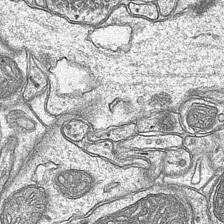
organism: Mouse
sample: CA1 Hippocampus